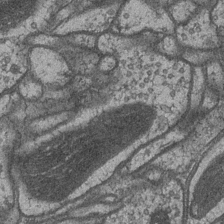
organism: Drosophila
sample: Optic medulla